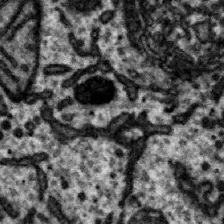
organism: Human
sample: HeLa cells